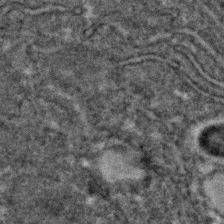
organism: C. elegans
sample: C. elegans embryo